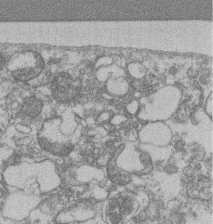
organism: Mouse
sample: T cell stromal cell synapse